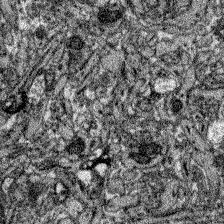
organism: Zebrafish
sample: Larval olfactory bulb